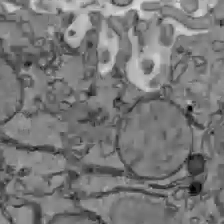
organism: C57BL Mouse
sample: Liver